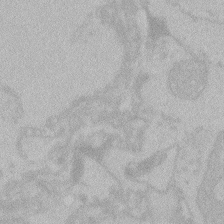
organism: Zebrafish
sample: Macrophage infected with Toxoplasma gondii